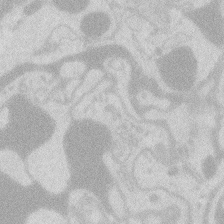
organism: Zebrafish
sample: Macrophage